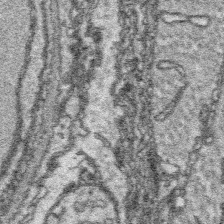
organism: Platynereis dumerilii